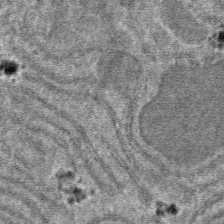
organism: Mouse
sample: Mouse hepatocytes